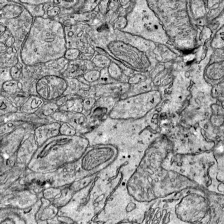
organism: Mouse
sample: Visual Cortex